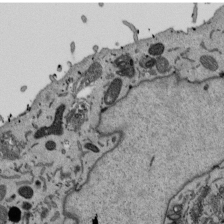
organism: Mouse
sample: ED-1 cell nuclei; centrioles